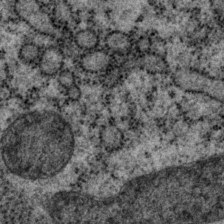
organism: P. pacificus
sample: Pharynx